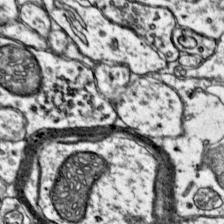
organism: Mouse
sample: Primary visual cortex